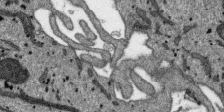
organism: Human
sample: Lung epithelial cells, uninfected (mock) control